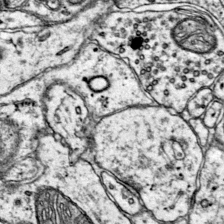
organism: Mouse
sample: Primary visual cortex